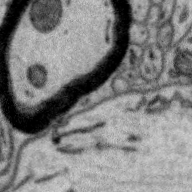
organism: Zebra finch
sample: Brain